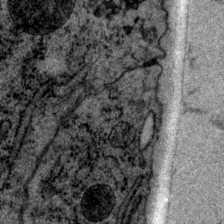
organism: P. pacificus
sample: Pharynx